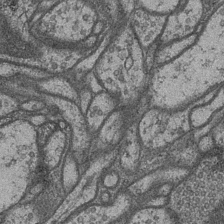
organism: Drosophila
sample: Optic medulla